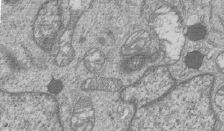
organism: Human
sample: MDA-MB-231 cells